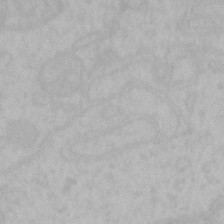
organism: Mouse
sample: Choroid plexus